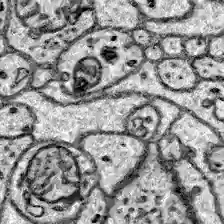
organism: Zebrafish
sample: Brain